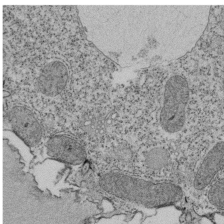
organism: Tetrahymena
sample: Cilia in tetrahymena